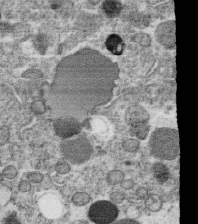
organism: C. elegans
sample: C. elegans oocyte; sperm cells